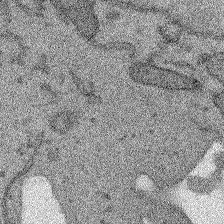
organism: Human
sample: HeLa cells